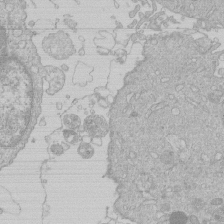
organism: Human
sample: Macrophage cells